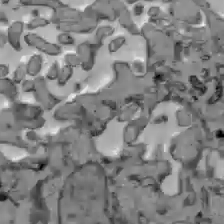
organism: C57BL Mouse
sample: Liver